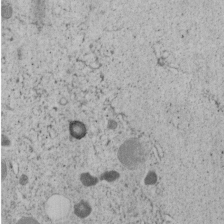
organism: C. elegans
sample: C. elegans embryo early stage